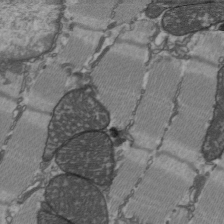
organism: C57BL Mouse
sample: Heart